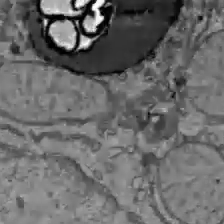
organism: C57BL Mouse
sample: Liver